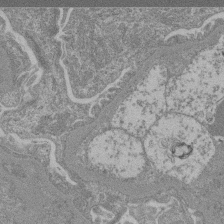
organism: Mouse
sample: Glomerulus